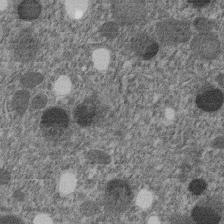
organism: C. elegans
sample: C. elegans embryo early stage